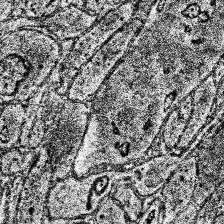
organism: Human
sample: Temporal Lobe